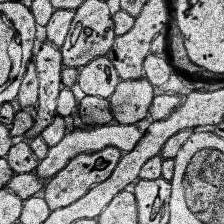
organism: Human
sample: Temporal Lobe